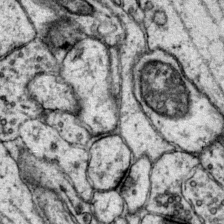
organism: Mouse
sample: Primary visual cortex